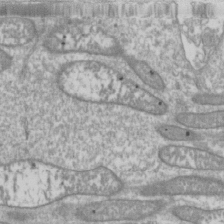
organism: Drosophila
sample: Cell division; meiosis; drosophila spermatocytes